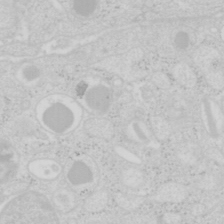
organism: Mouse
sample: Pancreas